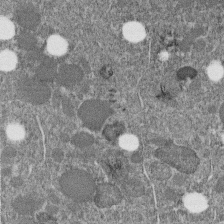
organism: C. elegans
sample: C. elegans embryo early stage